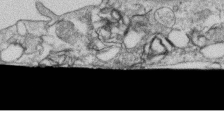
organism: Human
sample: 1205lu cells